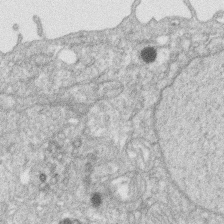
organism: Human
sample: HeLa cell HIV synapse